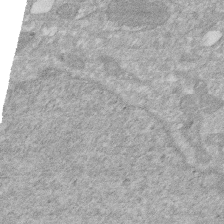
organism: Human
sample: HIV infected U937 cells